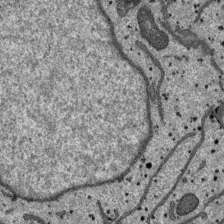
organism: Human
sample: Lung epithelial cells, uninfected (mock) control